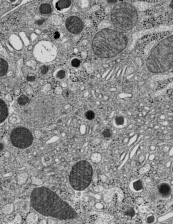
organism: C57BL Mouse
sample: Pancreatic islet